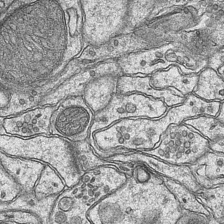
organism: Mouse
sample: CA1 Hippocampus